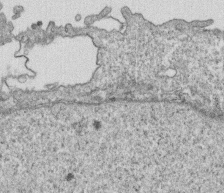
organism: Human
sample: HeLa cell HIV synapse